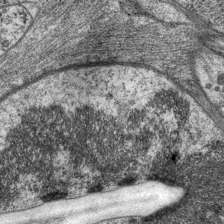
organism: P. pacificus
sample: Pharynx